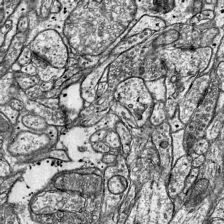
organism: Mouse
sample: Visual Cortex